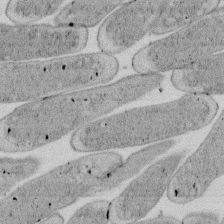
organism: E. coli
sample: Bacterial nucleoid